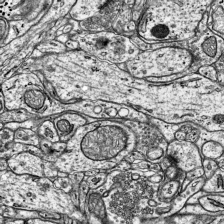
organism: Mouse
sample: Visual Cortex